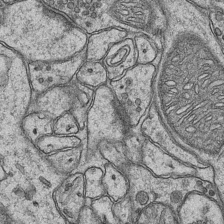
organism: Mouse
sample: CA1 Hippocampus